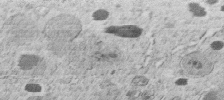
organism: C. elegans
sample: C. elegans embryo early stage